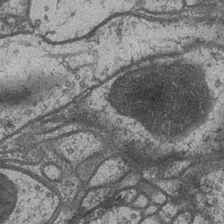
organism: Drosophila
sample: Optic medulla